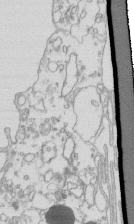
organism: Mouse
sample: Macrophages